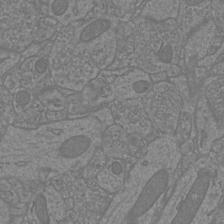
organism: Mouse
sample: Cortical neurons